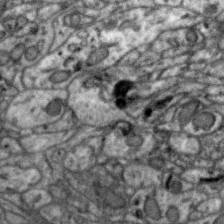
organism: Zebra finch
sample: Brain